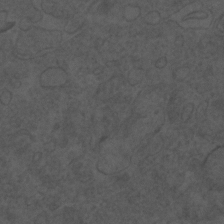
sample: Trachea